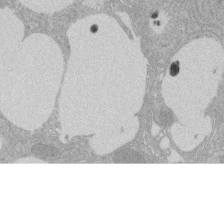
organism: Rat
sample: Salivary granule